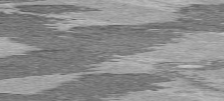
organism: C57BL Mouse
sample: Heart